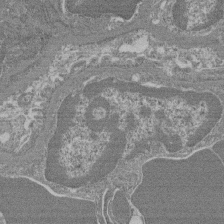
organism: Mouse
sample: Glomerulus